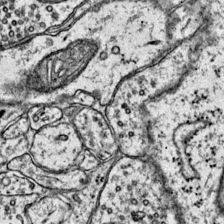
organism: Mouse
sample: Primary visual cortex